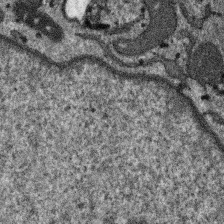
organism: Human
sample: Lung epithelial cells infected with SARS-CoV-2